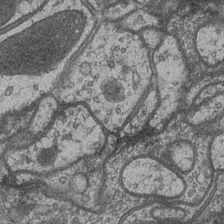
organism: Drosophila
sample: Optic medulla